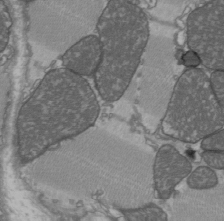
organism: C57BL Mouse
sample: Heart